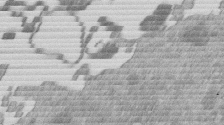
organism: Mouse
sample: Dividing mouse embryo 1 cell stage